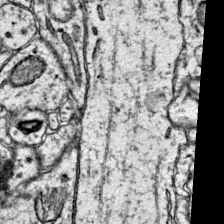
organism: Mouse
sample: Primary visual cortex